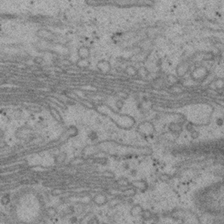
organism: Human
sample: HeLa cells